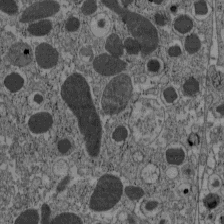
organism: C57BL Mouse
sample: Pancreatic islet